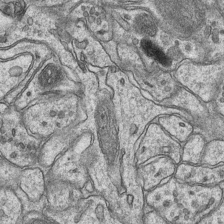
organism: Mouse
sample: CA1 Hippocampus